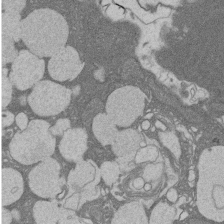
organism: Rat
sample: Salivary granule